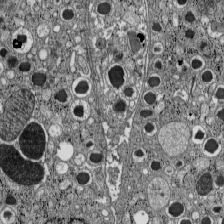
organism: C57BL Mouse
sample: Pancreatic islet